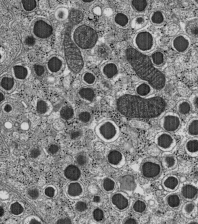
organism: C57BL Mouse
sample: Pancreatic islet